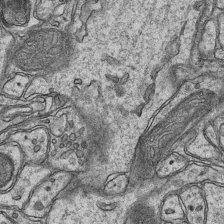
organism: Mouse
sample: CA1 Hippocampus